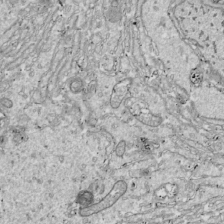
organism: Drosophila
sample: Cell division; meiosis; drosophila spermatocytes